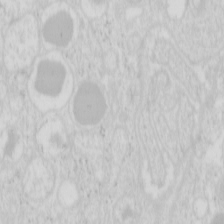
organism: Mouse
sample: Pancreas